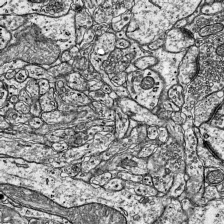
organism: Mouse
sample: Visual Cortex